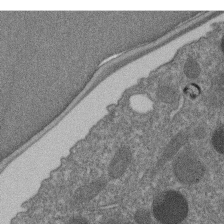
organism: C. elegans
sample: C. elegans embryo early stage